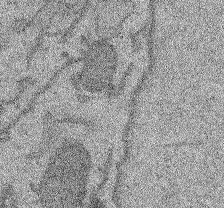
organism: Human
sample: HeLa cells